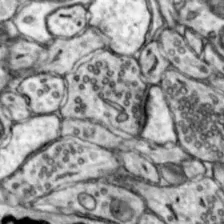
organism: Mouse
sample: Nucleus accumbens